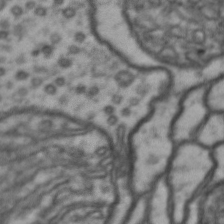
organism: Drosophila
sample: Brain